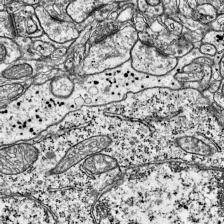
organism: Mouse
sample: Visual Cortex